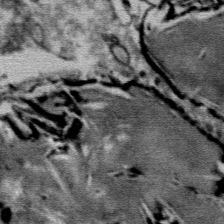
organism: Mouse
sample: Mouse Salivary gland